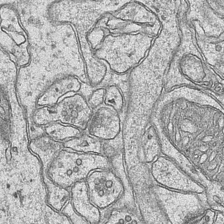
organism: Mouse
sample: CA1 Hippocampus